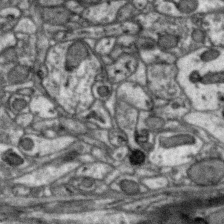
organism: Zebra finch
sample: Brain